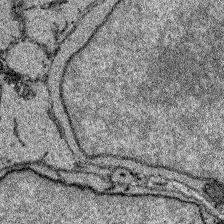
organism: Zebrafish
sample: Larval olfactory bulb